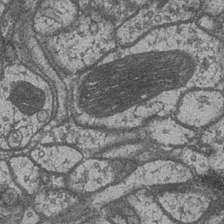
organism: Drosophila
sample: Optic medulla